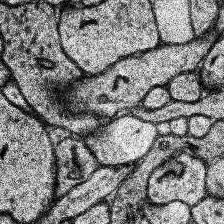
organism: Human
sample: Temporal Lobe